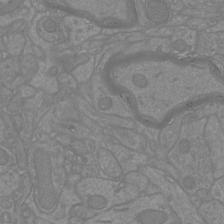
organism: Mouse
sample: Cortical neurons